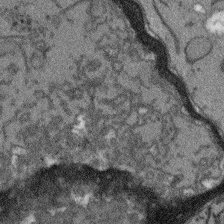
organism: Arabidopsis thaliana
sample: Root tip